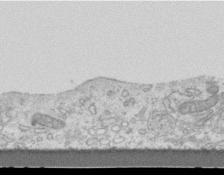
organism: Mouse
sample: Centriole in ependymal cells